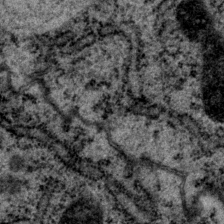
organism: P. pacificus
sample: Pharynx